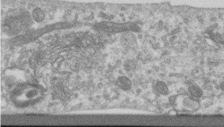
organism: Human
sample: Centriole in RPE cells